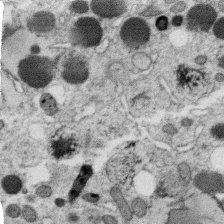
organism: C. elegans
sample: C. elegans oocyte; sperm cells